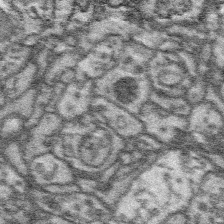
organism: Platynereis dumerilii